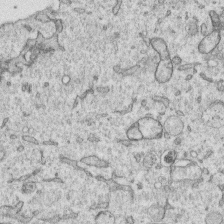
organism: Human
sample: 1205lu cells